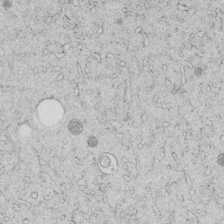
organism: C. elegans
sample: C. elegans embryo early stage